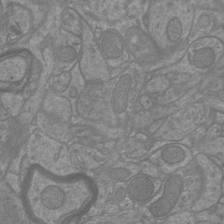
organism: Mouse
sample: Cortical neurons